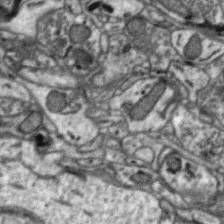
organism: Zebra finch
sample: Brain